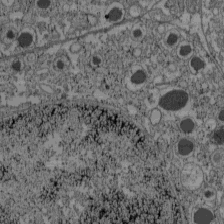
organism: C57BL Mouse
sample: Pancreatic islet